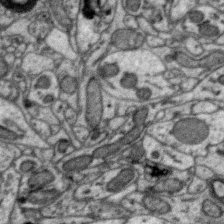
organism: Zebra finch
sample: Brain